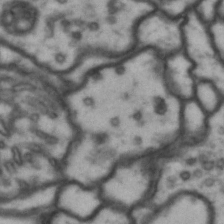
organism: Drosophila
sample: Brain